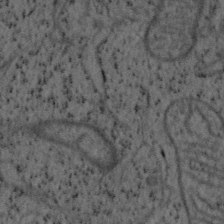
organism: Human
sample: HeLa cells